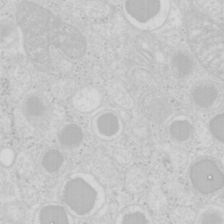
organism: Mouse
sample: Pancreas